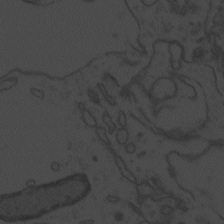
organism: Zebrafish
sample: Macrophage infected with Toxoplasma gondii